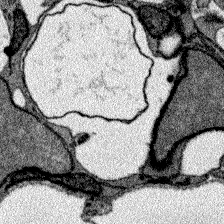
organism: Zebrafish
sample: Larval olfactory bulb